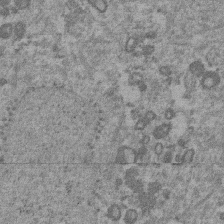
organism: Mouse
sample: Dividing mouse embryo 1 cell stage